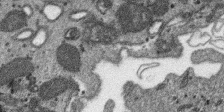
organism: Human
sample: Lung epithelial cells infected with SARS-CoV-2